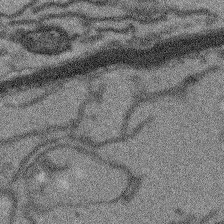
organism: Arabidopsis thaliana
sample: Root tip